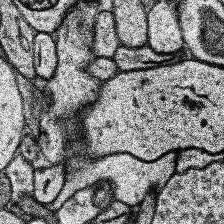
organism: Human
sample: Temporal Lobe